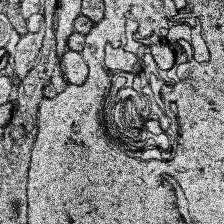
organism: Human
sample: Temporal Lobe